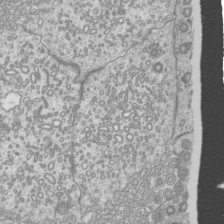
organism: Mouse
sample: Cilia; mouse epididymis